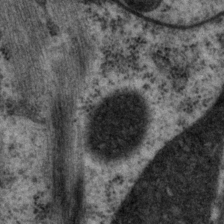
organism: P. pacificus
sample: Pharynx